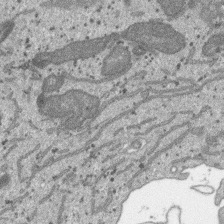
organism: Human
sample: Lung epithelial cells infected with SARS-CoV-2